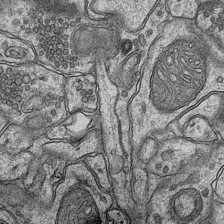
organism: Mouse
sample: CA1 Hippocampus